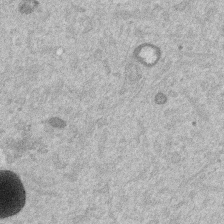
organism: Mouse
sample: Dividing mouse embryo 1 cell stage